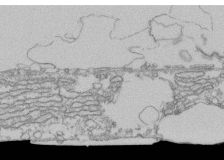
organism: Human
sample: Fibroblast cells